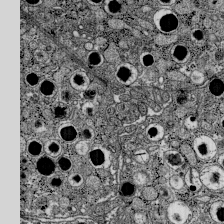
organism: C57BL Mouse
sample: Pancreatic islet